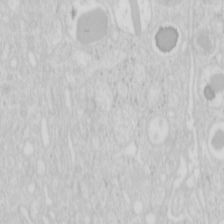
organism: Mouse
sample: Pancreas